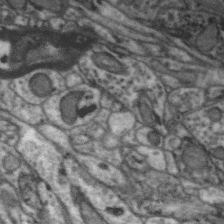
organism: Zebra finch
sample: Brain